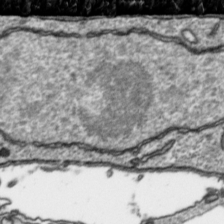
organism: Toxoplasma gondii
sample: Parasites in a vacuole inside a host cell